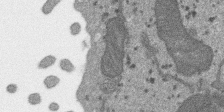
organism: Human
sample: Lung epithelial cells infected with SARS-CoV-2